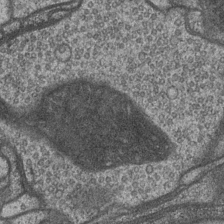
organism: Drosophila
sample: Optic medulla